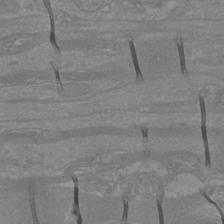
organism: Mouse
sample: Cortical neurons